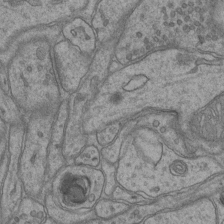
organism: Mouse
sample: CA1 Hippocampus